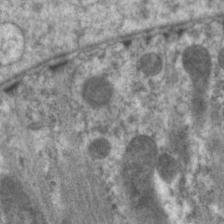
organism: C. elegans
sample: Pharynx